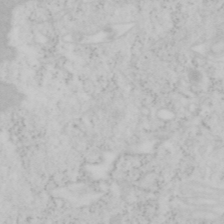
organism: Mouse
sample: OT-I killer T cells with ID8 ovarian cancer cells